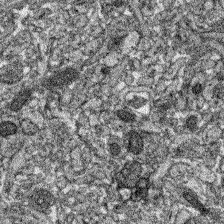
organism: Zebrafish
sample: Larval olfactory bulb